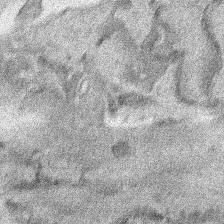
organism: Human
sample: Mitochondria in HCT116 cells